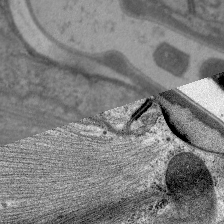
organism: C. elegans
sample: Pharynx